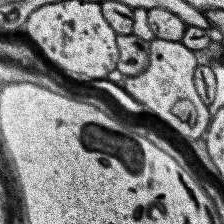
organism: Human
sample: Temporal Lobe